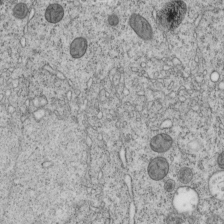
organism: C. elegans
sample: C. elegans embryo early stage